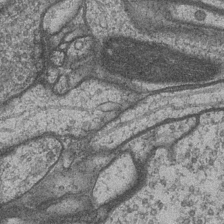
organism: Drosophila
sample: Optic medulla